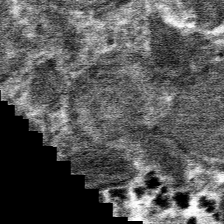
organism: Mouse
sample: Mouse hepatocytes